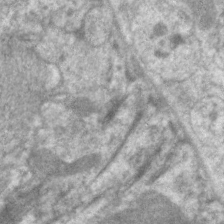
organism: C. elegans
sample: Pharynx